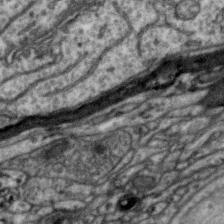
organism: Zebra finch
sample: Brain